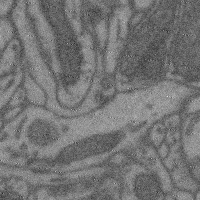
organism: Mouse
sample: Cerebral cortex